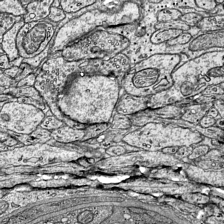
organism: Mouse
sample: Visual Cortex